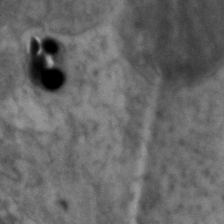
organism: Zebrafish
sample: Zebrafish embryo